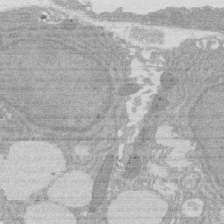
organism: Rat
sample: Salivary granule